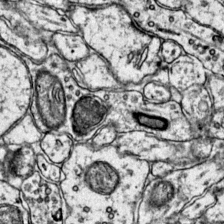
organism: Mouse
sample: Primary visual cortex